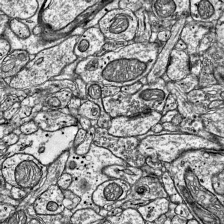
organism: Mouse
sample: Visual Cortex